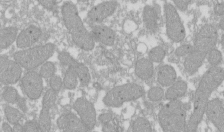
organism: Xenopus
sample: Cilia; centrioles in frog embryo cells